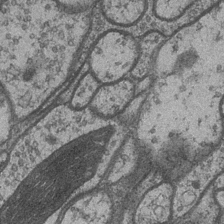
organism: Drosophila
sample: Optic medulla